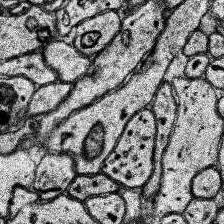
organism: Human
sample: Temporal Lobe